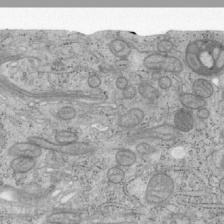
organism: Human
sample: HeLa cells